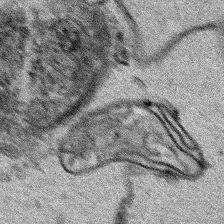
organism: Human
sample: Mitochondria in HCT116 cells